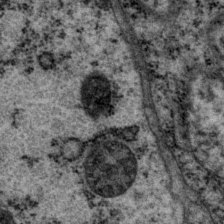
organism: P. pacificus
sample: Pharynx